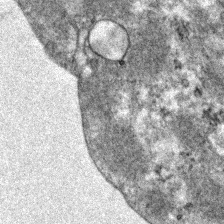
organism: Zebrafish